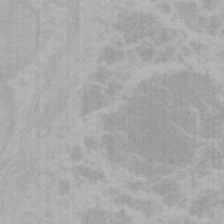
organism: Mouse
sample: Choroid plexus